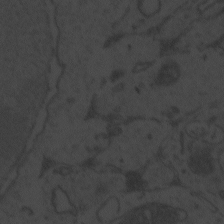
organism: Zebrafish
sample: Macrophage infected with Toxoplasma gondii